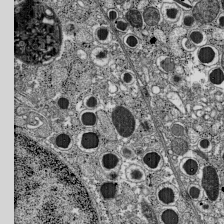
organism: C57BL Mouse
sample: Pancreatic islet